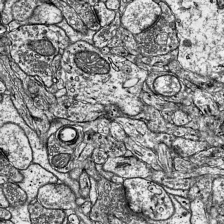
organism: Mouse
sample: Visual Cortex